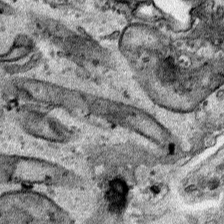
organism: Human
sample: Mitochondria in HCT116 cells